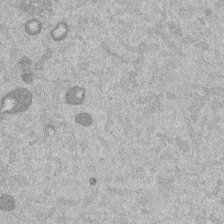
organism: Mouse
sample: Dividing mouse embryo 1 cell stage